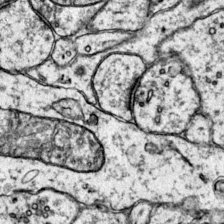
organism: Mouse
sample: Primary visual cortex